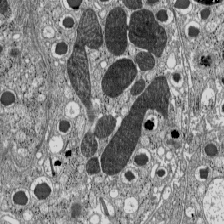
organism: C57BL Mouse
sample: Pancreatic islet